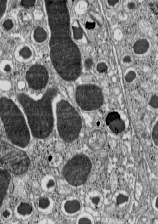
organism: C57BL Mouse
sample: Pancreatic islet